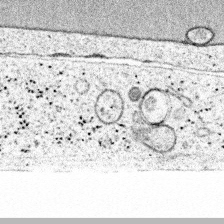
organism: Human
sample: HeLa cells